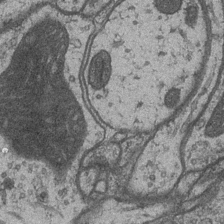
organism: Drosophila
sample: Optic medulla